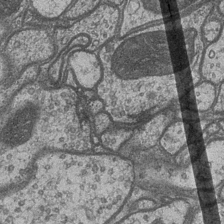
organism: Drosophila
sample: Optic medulla